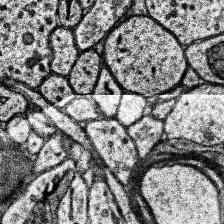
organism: Human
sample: Temporal Lobe